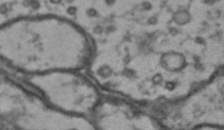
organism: Drosophila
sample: Brain